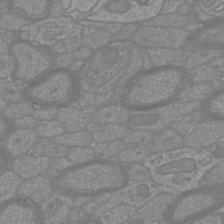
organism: Mouse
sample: Cortical neurons